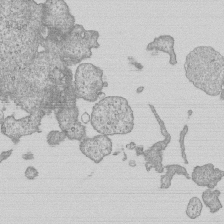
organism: Human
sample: MDA-MB-231 cells